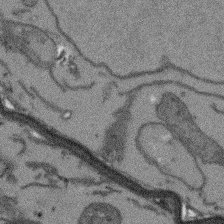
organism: Arabidopsis thaliana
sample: Root tip